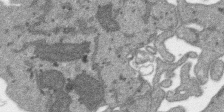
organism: Human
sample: Lung epithelial cells infected with SARS-CoV-2